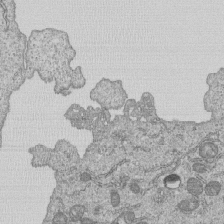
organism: Human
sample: MDA-MB-231 cells